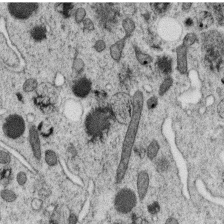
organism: C. elegans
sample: C. elegans oocyte; sperm cells